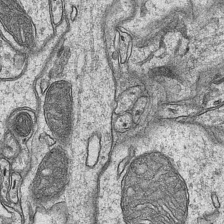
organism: Mouse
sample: CA1 Hippocampus